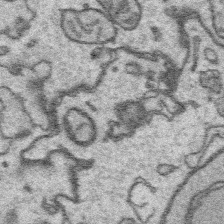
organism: Platynereis dumerilii